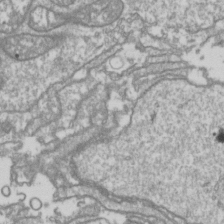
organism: Drosophila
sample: Cell division; meiosis; drosophila spermatocytes